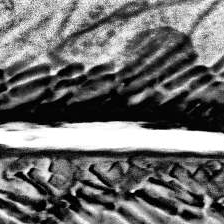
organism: Human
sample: Temporal Lobe